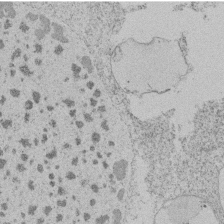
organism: Tetrahymena